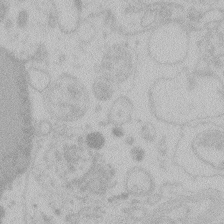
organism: Zebrafish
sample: Macrophage infected with Toxoplasma gondii